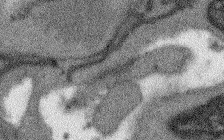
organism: Arabidopsis thaliana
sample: Root tip